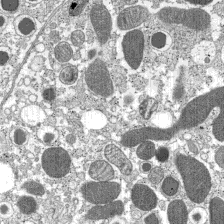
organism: C57BL Mouse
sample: Pancreatic islet